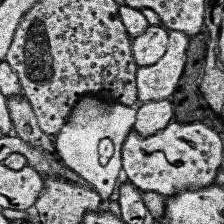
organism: Human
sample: Temporal Lobe